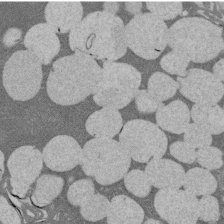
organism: Rat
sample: Salivary granule